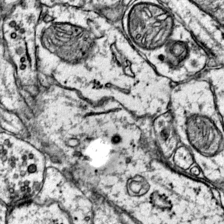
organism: Mouse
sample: Primary visual cortex